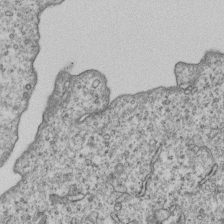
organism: Human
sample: MDA-MB-231 cells